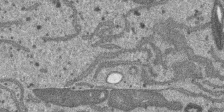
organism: Human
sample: Lung epithelial cells infected with SARS-CoV-2